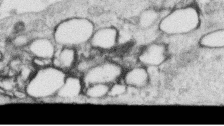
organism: Human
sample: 1205lu cells